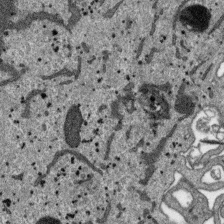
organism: Human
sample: Lung epithelial cells, uninfected (mock) control